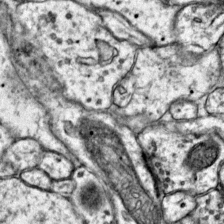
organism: Mouse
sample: Primary visual cortex